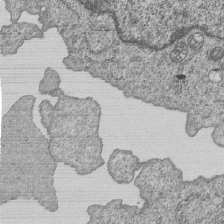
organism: Human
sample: MDA-MB-231 cells